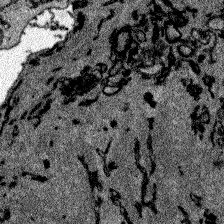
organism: Zebrafish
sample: Larval olfactory bulb